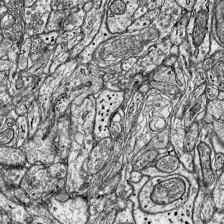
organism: Mouse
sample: Visual Cortex